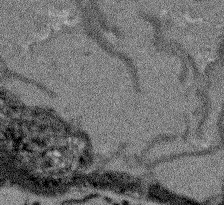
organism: Arabidopsis thaliana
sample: Root tip